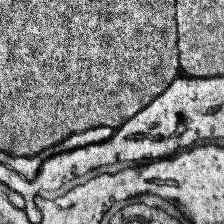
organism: Human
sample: Temporal Lobe